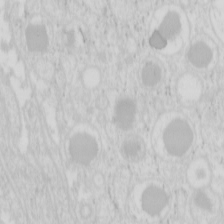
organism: Mouse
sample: Pancreas